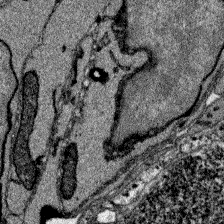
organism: Zebrafish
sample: Larval olfactory bulb